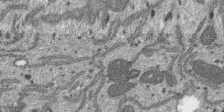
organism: Human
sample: Lung epithelial cells infected with SARS-CoV-2